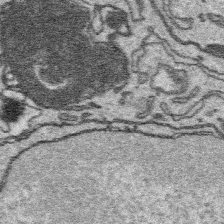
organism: Platynereis dumerilii